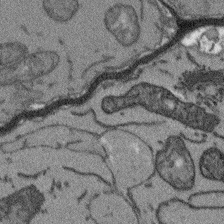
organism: Arabidopsis thaliana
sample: Root tip